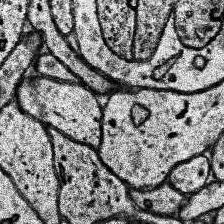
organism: Human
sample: Temporal Lobe